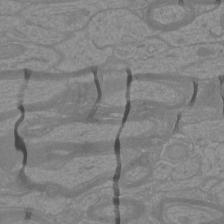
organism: Mouse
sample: Cortical neurons